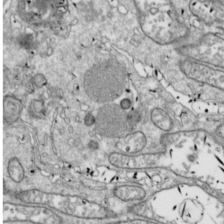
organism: Drosophila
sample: Cell division; meiosis; drosophila spermatocytes